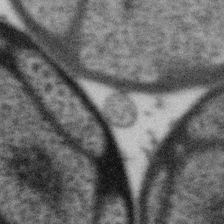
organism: Gemmata obscuriglobus